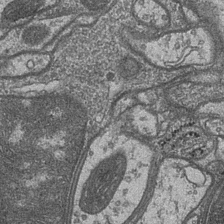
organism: Drosophila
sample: Optic medulla